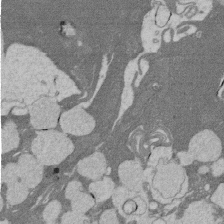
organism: Rat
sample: Salivary granule